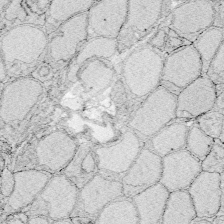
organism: Zebrafish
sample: Whole-Brain